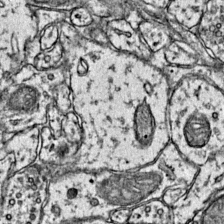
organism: Mouse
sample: Primary visual cortex